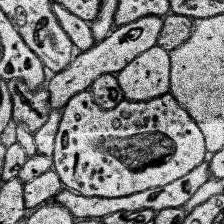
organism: Human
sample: Temporal Lobe